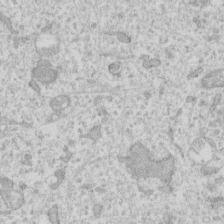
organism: Human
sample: Fibroblast cells